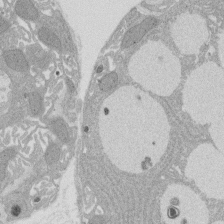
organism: Rat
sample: Salivary granule